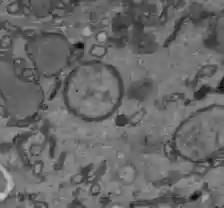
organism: C57BL Mouse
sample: Liver